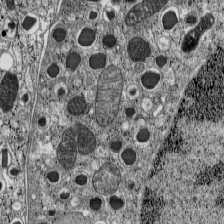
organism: C57BL Mouse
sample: Pancreatic islet